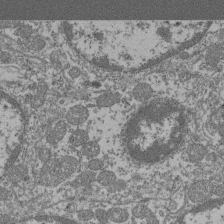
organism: Mouse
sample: Glomerulus